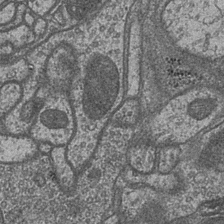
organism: Drosophila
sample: Optic medulla